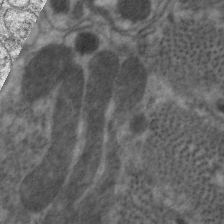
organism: C. elegans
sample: Pharynx